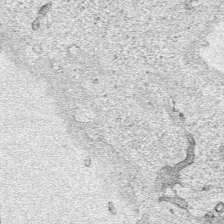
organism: Human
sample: Mitochondria in HCT116 cells